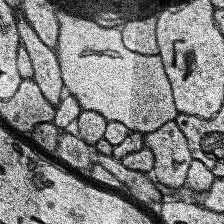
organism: Human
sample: Temporal Lobe